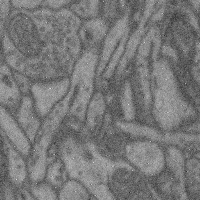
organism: Mouse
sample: Cerebral cortex